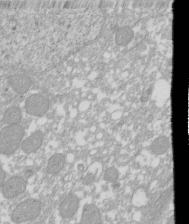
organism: Xenopus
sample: Cilia; centrioles in frog embryo cells